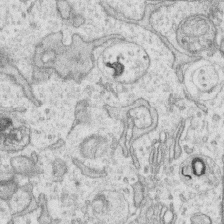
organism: Human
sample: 1205lu cells